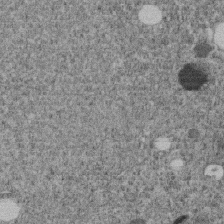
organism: C. elegans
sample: C. elegans embryo early stage